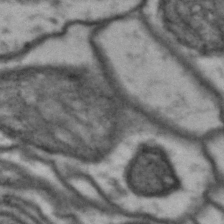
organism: Drosophila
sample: Brain